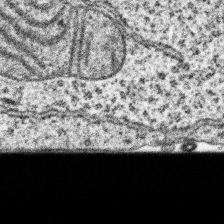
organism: Human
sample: HeLa cells